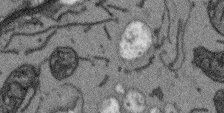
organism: Arabidopsis thaliana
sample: Root tip